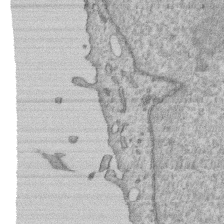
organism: Human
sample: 1205lu cells